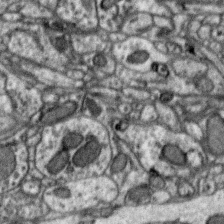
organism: Zebra finch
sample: Brain